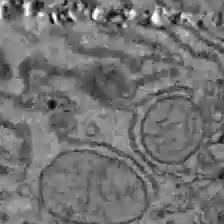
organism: C57BL Mouse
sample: Liver